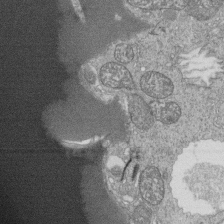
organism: Tetrahymena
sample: Cilia in tetrahymena